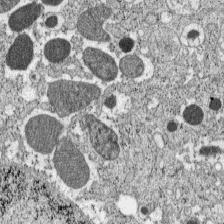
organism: C57BL Mouse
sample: Pancreatic islet